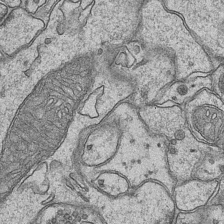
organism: Mouse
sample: CA1 Hippocampus